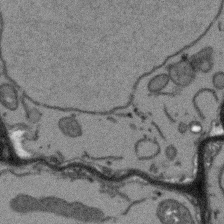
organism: Arabidopsis thaliana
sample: Root tip